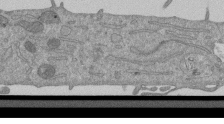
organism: Mouse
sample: ED-1 cell nuclei; centrioles